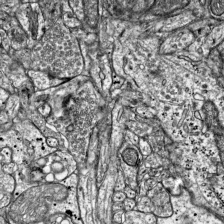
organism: Mouse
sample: Visual Cortex